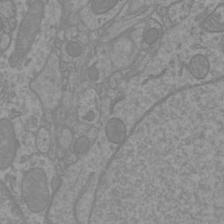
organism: Mouse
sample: Cortical neurons